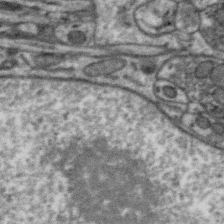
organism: Zebra finch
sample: Brain